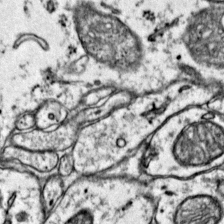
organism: Mouse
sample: Primary visual cortex